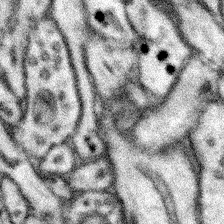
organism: Mouse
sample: Somatosensory cortex neuropil